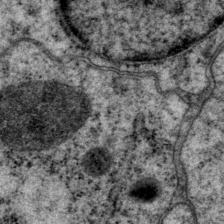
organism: P. pacificus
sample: Pharynx